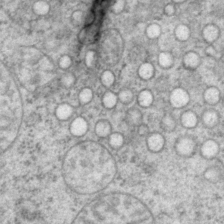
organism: P. pacificus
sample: Pharynx